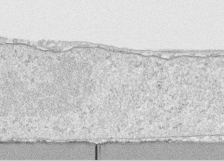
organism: Human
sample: CRL-1474